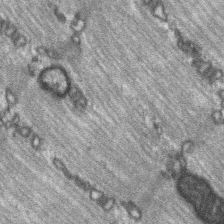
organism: C57BL Mouse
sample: Soleus